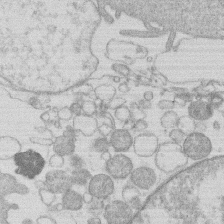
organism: Human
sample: Macrophage cells